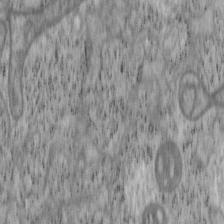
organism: Human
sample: HeLa cells